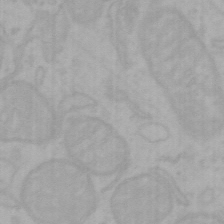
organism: Mouse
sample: Choroid plexus